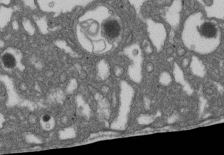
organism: Drosophila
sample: Nephrocyte